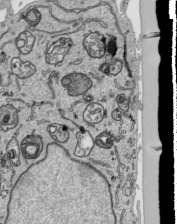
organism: Human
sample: Mitochondria in HCT116 cells